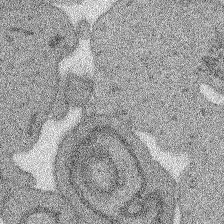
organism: Human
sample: HeLa cells